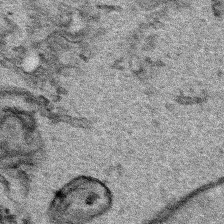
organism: Human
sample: Mitochondria in HCT116 cells